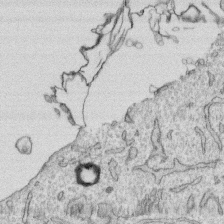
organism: Human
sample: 1205lu cells